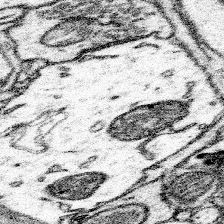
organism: Mouse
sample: Somatosensory cortex neuropil